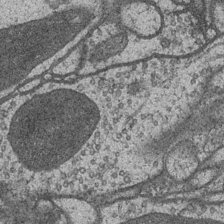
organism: Drosophila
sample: Optic medulla